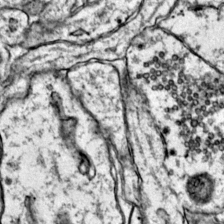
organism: Mouse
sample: Primary visual cortex